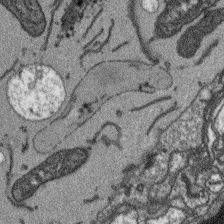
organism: Arabidopsis thaliana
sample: Root tip